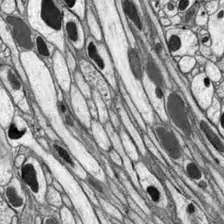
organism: Drosophila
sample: Optic lobe